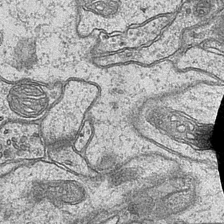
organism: Mouse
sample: CA1 Hippocampus